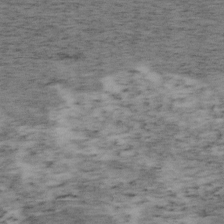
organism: Mouse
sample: OT-I killer T cells with ID8 ovarian cancer cells